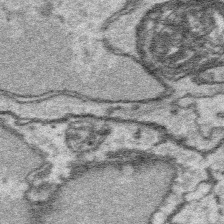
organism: Platynereis dumerilii